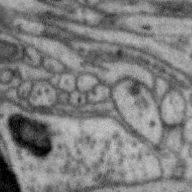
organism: Zebra finch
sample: Brain